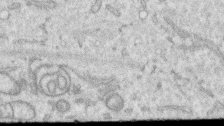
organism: Human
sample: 1205lu cells